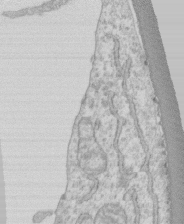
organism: Human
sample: CRL-1474